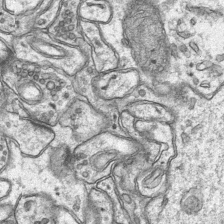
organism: Mouse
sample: CA1 Hippocampus